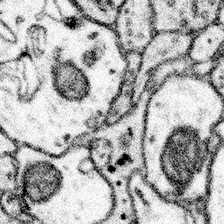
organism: Mouse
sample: Somatosensory cortex neuropil